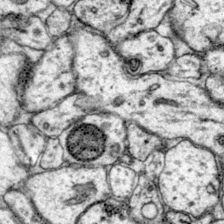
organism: Mouse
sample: Primary visual cortex